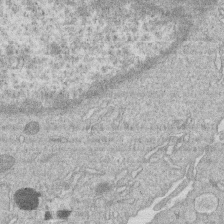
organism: Human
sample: Macrophage cells